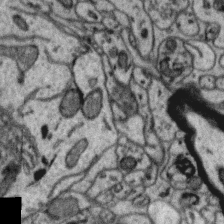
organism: Zebra finch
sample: Brain